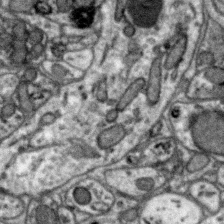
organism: Zebra finch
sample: Brain